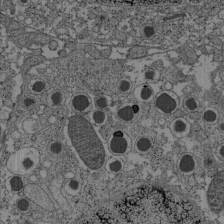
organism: C57BL Mouse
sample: Pancreatic islet